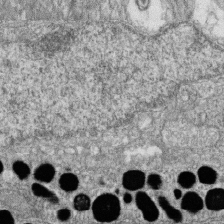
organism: Zebrafish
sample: Cilia; retinal pigment epithelium